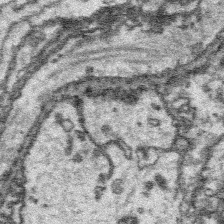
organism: Platynereis dumerilii